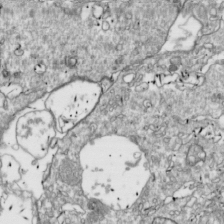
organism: Drosophila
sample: Cell division; meiosis; drosophila spermatocytes